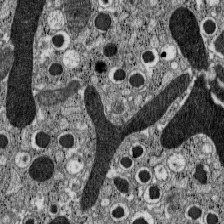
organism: C57BL Mouse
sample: Pancreatic islet